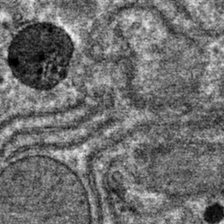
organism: Mouse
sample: Mouse hepatocytes